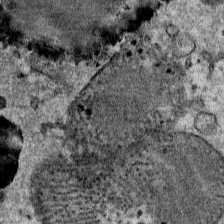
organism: Mouse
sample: Mouse Salivary gland